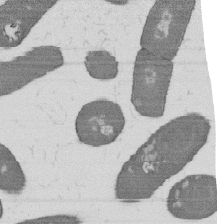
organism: B. subtilis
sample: Bacterial spore